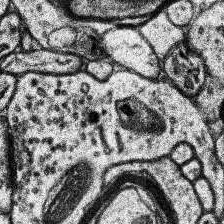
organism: Human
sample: Temporal Lobe